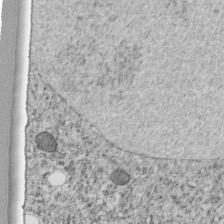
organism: C. elegans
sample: C. elegans embryo early stage